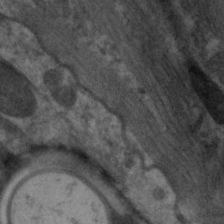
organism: C. elegans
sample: Pharynx